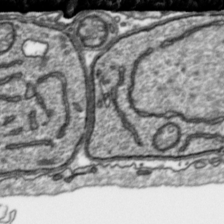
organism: Toxoplasma gondii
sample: Parasites in a vacuole inside a host cell